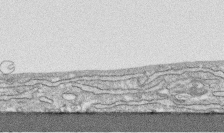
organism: Human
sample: CRL-1474